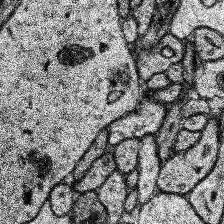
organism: Human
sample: Temporal Lobe